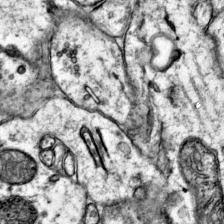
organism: Mouse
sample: Primary visual cortex